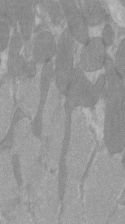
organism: C57BL Mouse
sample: Tibialis anterior muscle cell